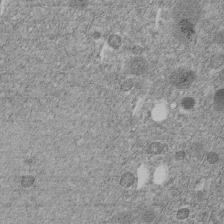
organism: C. elegans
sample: C. elegans embryo early stage